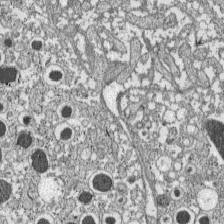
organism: C57BL Mouse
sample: Pancreatic islet